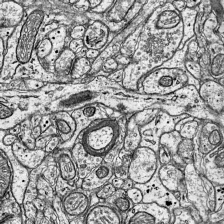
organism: Mouse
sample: Visual Cortex